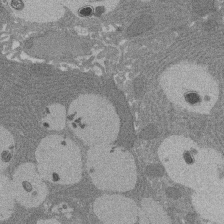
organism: Rat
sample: Salivary granule